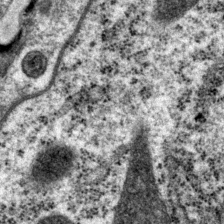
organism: P. pacificus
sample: Pharynx